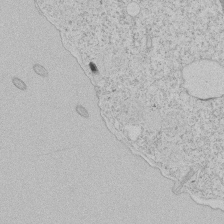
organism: Tetrahymena